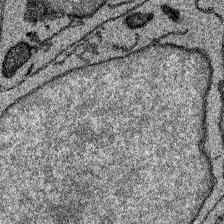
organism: Zebrafish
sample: Larval olfactory bulb